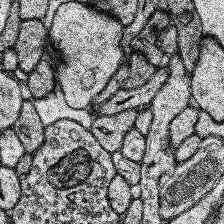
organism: Human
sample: Temporal Lobe